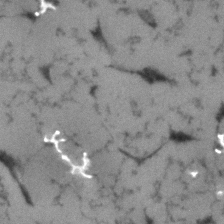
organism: Human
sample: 1205lu cells